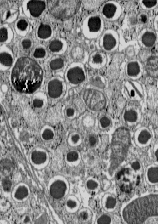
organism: C57BL Mouse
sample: Pancreatic islet